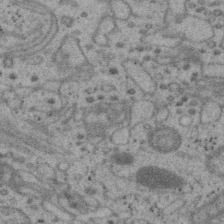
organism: Human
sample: HeLa cells